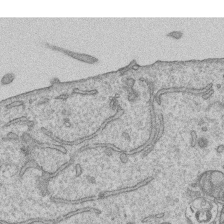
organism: Human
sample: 1205lu cells